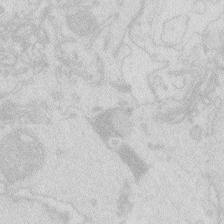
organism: Zebrafish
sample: Macrophage